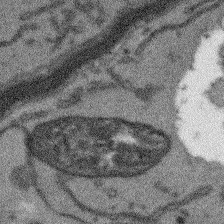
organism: Arabidopsis thaliana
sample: Root tip